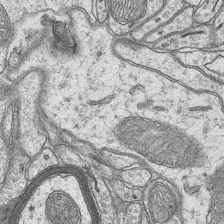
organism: Mouse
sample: CA1 Hippocampus